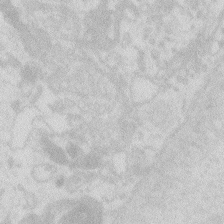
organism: Zebrafish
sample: Macrophage